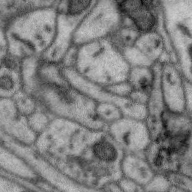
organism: Zebra finch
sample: Brain